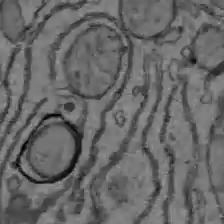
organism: C57BL Mouse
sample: Liver